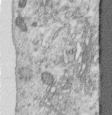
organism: Human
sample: Centriole in RPE cells